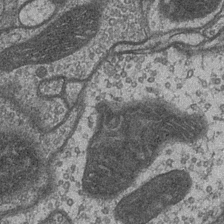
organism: Drosophila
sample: Optic medulla